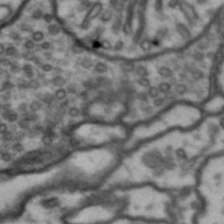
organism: Drosophila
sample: Brain